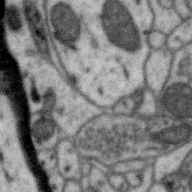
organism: Zebra finch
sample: Brain